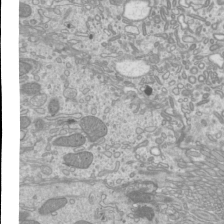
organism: Mouse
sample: Cilia; mouse epididymis